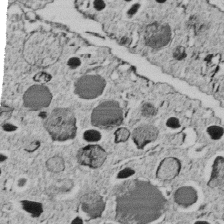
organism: C. elegans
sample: C. elegans embryo early stage